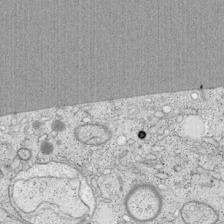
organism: African green monkey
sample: COS-7 cells